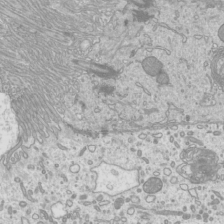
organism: Mouse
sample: Cilia; mouse epididymis